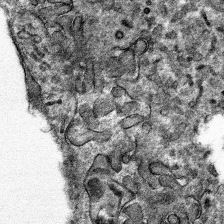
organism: Mouse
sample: Mouse hepatocytes